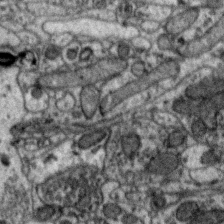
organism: Zebra finch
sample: Brain